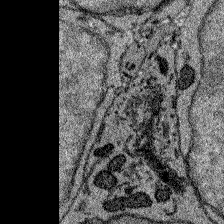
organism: Zebrafish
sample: Larval olfactory bulb